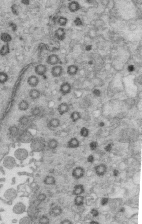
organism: Mouse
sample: Multiciliated cells